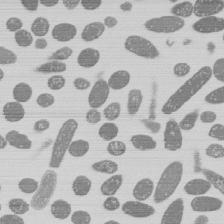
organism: E. coli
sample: Bacterial nucleoid